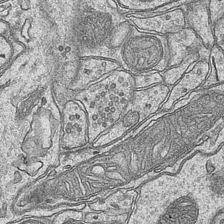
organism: Mouse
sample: CA1 Hippocampus